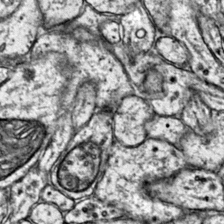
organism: Mouse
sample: Primary visual cortex